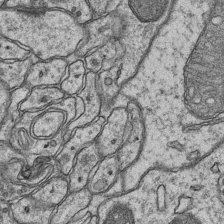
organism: Mouse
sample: CA1 Hippocampus